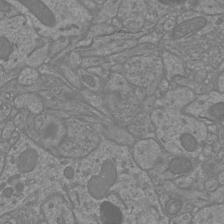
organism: Mouse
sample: Cortical neurons